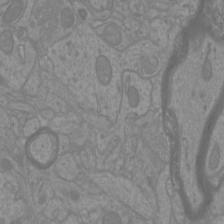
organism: Mouse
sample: Cortical neurons